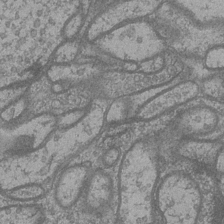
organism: Drosophila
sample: Optic medulla